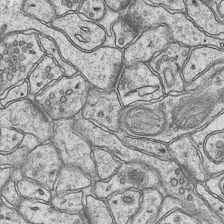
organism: Mouse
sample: CA1 Hippocampus